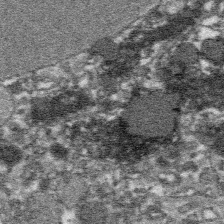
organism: Platynereis dumerilii